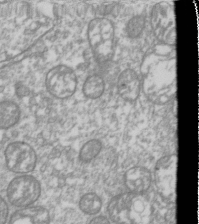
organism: Drosophila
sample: Cell division; meiosis; drosophila spermatocytes